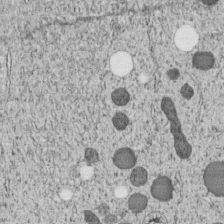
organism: C. elegans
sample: C. elegans embryo early stage